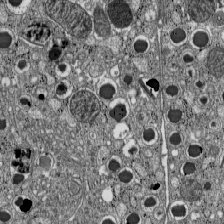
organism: C57BL Mouse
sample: Pancreatic islet